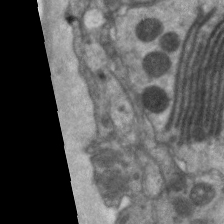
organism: C. elegans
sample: Pharynx